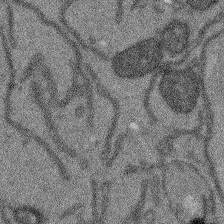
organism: Arabidopsis thaliana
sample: Root tip